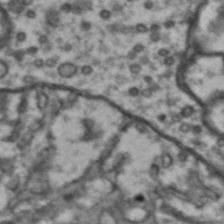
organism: Drosophila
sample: Brain